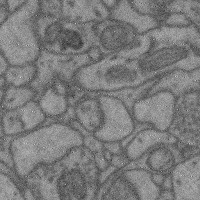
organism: Mouse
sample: Cerebral cortex